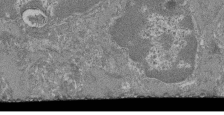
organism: Mouse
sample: Glomerulus